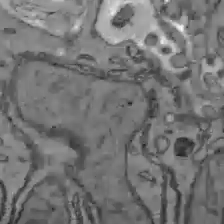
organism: C57BL Mouse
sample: Liver